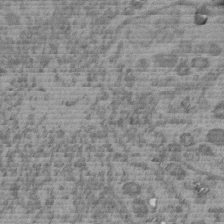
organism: C. elegans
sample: C. elegans embryo early stage